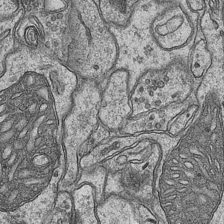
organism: Mouse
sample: CA1 Hippocampus